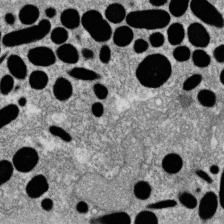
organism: Zebrafish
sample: Cilia; retinal pigment epithelium